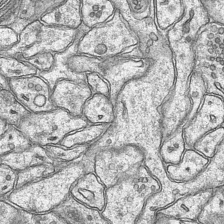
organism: Mouse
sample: CA1 Hippocampus